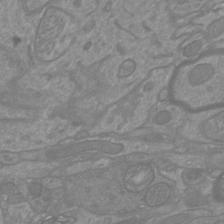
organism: Mouse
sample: Cortical neurons